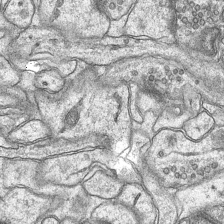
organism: Mouse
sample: CA1 Hippocampus